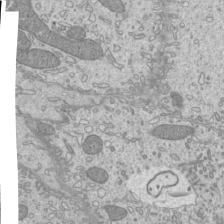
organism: Mouse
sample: Cilia; mouse epididymis